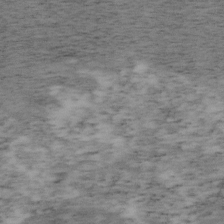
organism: Mouse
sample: OT-I killer T cells with ID8 ovarian cancer cells